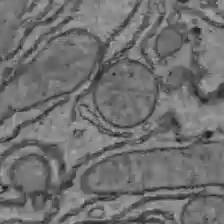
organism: C57BL Mouse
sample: Liver